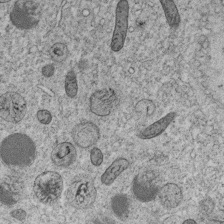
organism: C. elegans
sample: C. elegans embryo early stage